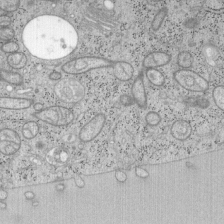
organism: Mouse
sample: OT-I killer T cells with ID8 ovarian cancer cells